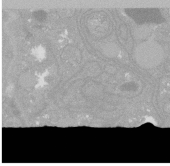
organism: C. elegans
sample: C. elegans oocyte; sperm cells